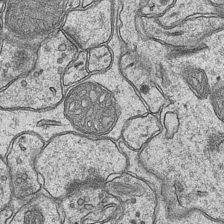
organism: Mouse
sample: CA1 Hippocampus